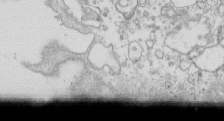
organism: Mouse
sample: Macrophages